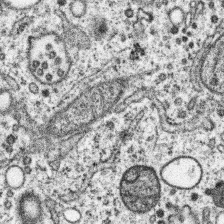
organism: Human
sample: HeLa cells